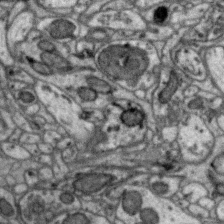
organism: Zebra finch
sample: Brain